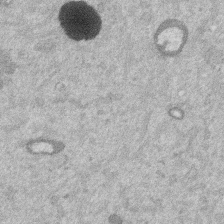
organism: Mouse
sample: Dividing mouse embryo 1 cell stage